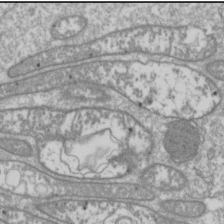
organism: Drosophila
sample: Cell division; meiosis; drosophila spermatocytes